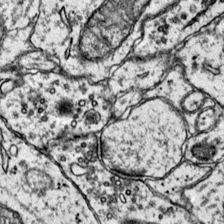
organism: Mouse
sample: Primary visual cortex